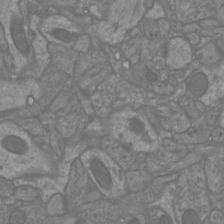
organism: Mouse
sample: Cortical neurons